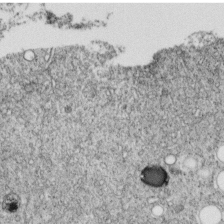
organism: C. elegans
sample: C. elegans embryo early stage